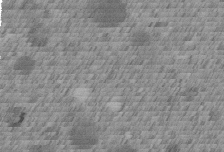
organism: C. elegans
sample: C. elegans embryo early stage